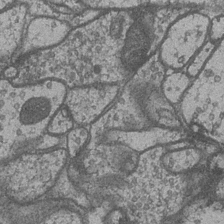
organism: Drosophila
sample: Optic medulla